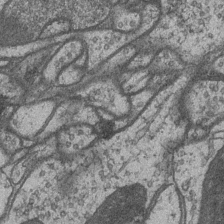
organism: Drosophila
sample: Optic medulla